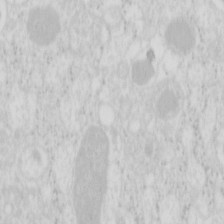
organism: Mouse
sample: Pancreas